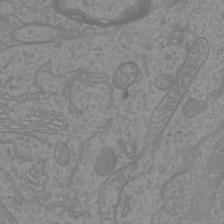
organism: Mouse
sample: Cortical neurons